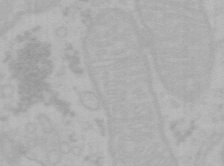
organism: Mouse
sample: Choroid plexus